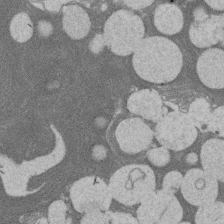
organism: Rat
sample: Salivary granule